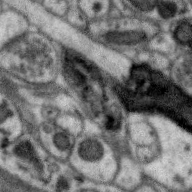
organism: Zebra finch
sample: Brain